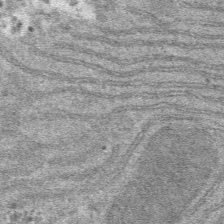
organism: Mouse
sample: Mouse hepatocytes